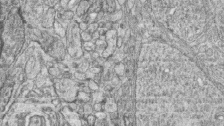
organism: Zebrafish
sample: synaptic ribbons in rod cells and cone cells